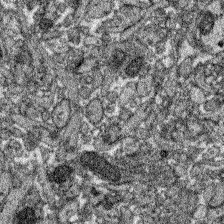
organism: Zebrafish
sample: Larval olfactory bulb